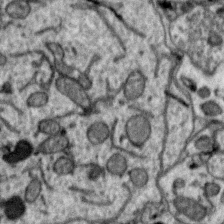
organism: Zebra finch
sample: Brain